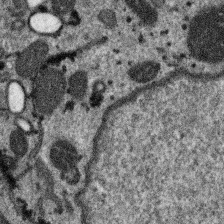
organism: Human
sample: Lung epithelial cells infected with SARS-CoV-2